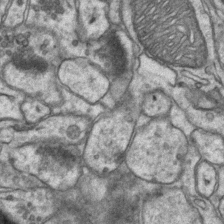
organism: Mouse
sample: CA1 Hippocampus